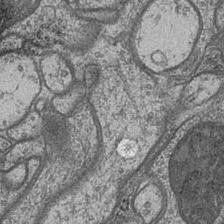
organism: Drosophila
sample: Optic medulla